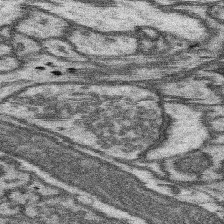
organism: Mouse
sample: Somatosensory cortex neuropil